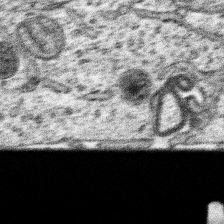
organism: Human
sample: HeLa cells